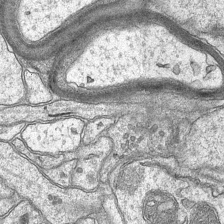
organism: Mouse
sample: CA1 Hippocampus